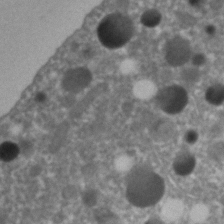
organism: C. elegans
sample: C. elegans embryo